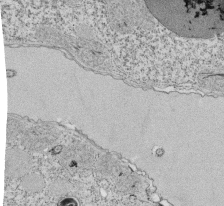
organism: Tetrahymena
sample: Cilia in tetrahymena